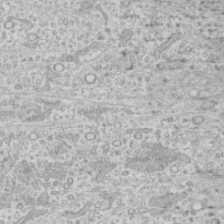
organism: Human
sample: CRL-1474